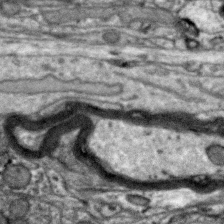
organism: Zebra finch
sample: Brain